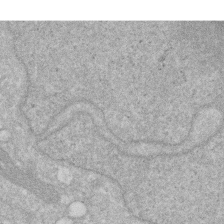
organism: Human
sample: HIV infected U937 cells